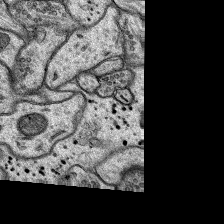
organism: Rat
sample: Hippocampus